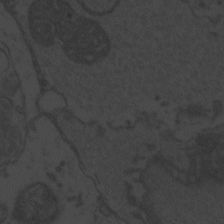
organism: Zebrafish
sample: Macrophage infected with Toxoplasma gondii